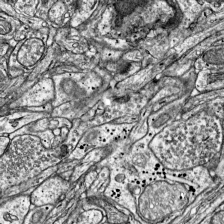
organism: Mouse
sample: Visual Cortex